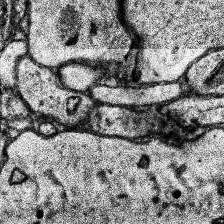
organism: Human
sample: Temporal Lobe